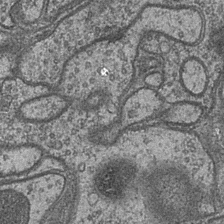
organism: Drosophila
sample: Optic medulla